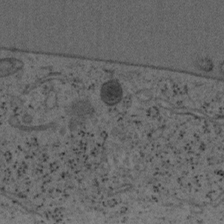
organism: Human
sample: HeLa cells